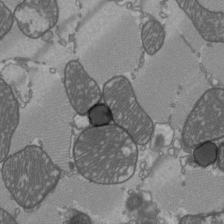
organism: C57BL Mouse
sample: Heart